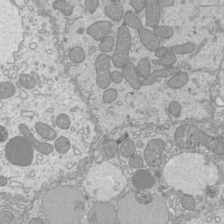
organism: Mouse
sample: Cilia; mouse epididymis